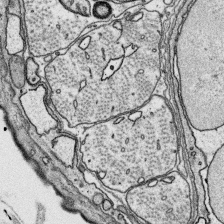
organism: Platynereis dumerilii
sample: Parapodia